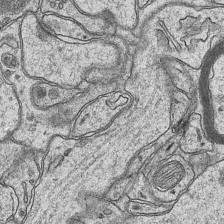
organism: Mouse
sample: CA1 Hippocampus